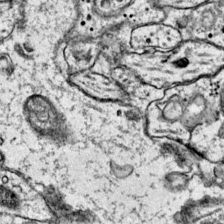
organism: Mouse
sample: Primary visual cortex